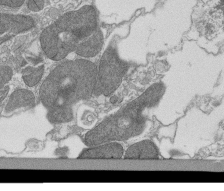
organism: Tetrahymena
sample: Cilia in tetrahymena